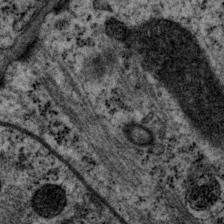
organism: P. pacificus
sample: Pharynx